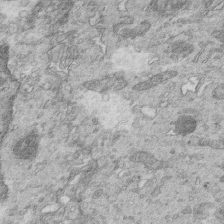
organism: Mouse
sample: Multiciliated cells